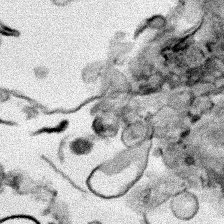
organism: Human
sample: Mitochondria in HCT116 cells